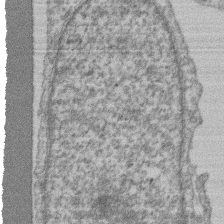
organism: Mouse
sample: T cell stromal cell synapse